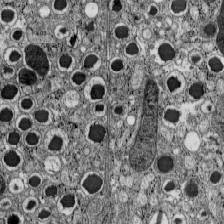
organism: C57BL Mouse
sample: Pancreatic islet